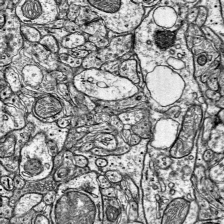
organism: Mouse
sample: Visual Cortex